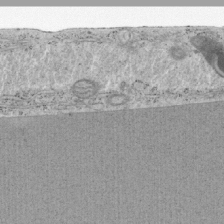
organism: Human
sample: HeLa cells